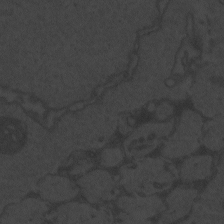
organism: Zebrafish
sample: Macrophage infected with Toxoplasma gondii